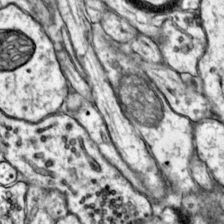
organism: Mouse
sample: Primary visual cortex